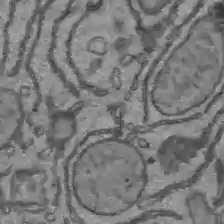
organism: C57BL Mouse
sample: Liver